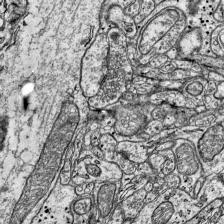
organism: Mouse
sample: Visual Cortex